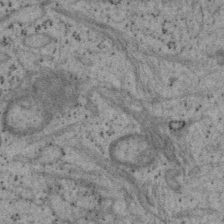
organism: Human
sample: HeLa cells